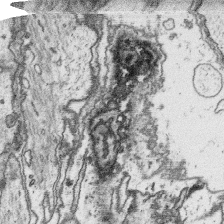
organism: Platynereis dumerilii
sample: Parapodia